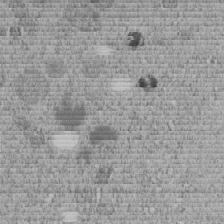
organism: C. elegans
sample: C. elegans embryo early stage